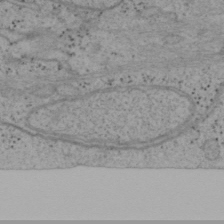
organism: Human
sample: HeLa cells